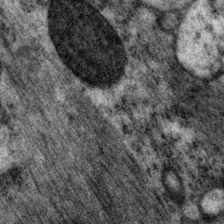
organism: P. pacificus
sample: Pharynx